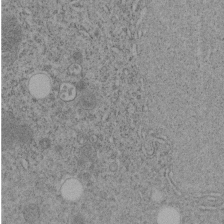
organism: C. elegans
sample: C. elegans embryo early stage